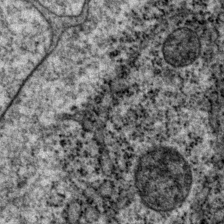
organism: P. pacificus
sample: Pharynx